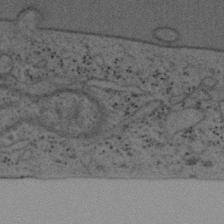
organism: Human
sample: HeLa cells